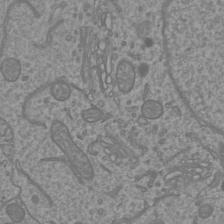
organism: Mouse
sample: Cortical neurons